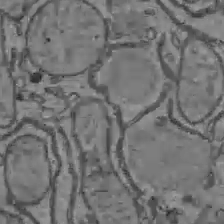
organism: C57BL Mouse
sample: Liver